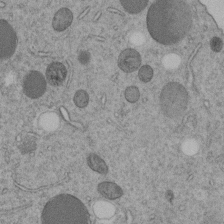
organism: C. elegans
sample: C. elegans embryo early stage